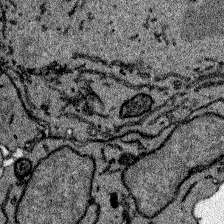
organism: Zebrafish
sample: Larval olfactory bulb